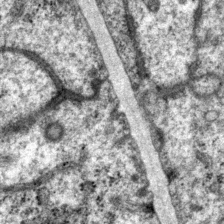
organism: P. pacificus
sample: Pharynx